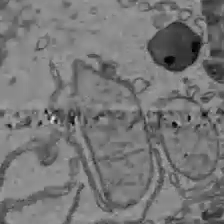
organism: C57BL Mouse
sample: Liver